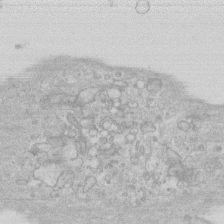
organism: Human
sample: Fibroblast cells